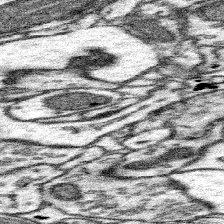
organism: Mouse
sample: Somatosensory cortex neuropil